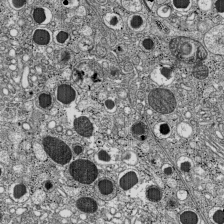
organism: C57BL Mouse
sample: Pancreatic islet